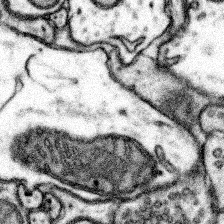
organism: Mouse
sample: Somatosensory cortex neuropil